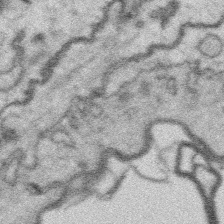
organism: Platynereis dumerilii